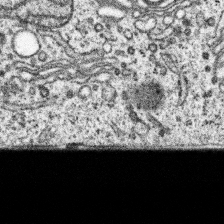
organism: Human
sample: HeLa cells